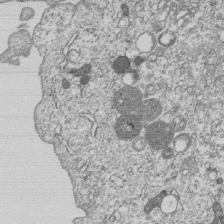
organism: Human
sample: MDA-MB-231 cells